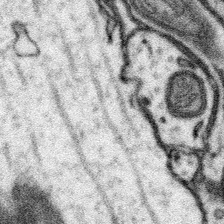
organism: Mouse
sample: Somatosensory cortex neuropil